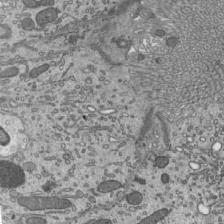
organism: Mouse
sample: Mouse epididymis efferent ductule cilia